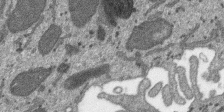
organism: Human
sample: Lung epithelial cells infected with SARS-CoV-2